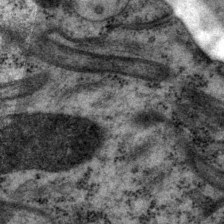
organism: P. pacificus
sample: Pharynx